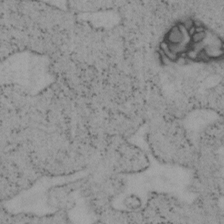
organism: Mouse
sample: OT-I killer T cells with ID8 ovarian cancer cells